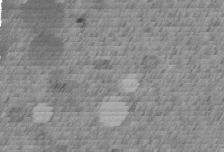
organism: C. elegans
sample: C. elegans embryo early stage